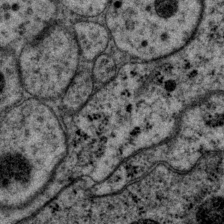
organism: P. pacificus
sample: Pharynx